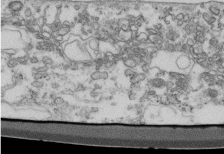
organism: Mouse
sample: Cilia; retinal pigment epithelium